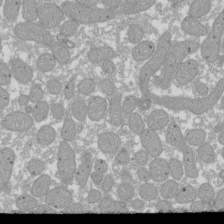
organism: Xenopus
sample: Cilia; centrioles in frog embryo cells